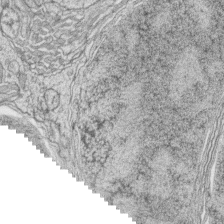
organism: Zebrafish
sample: synaptic ribbons in rod cells and cone cells